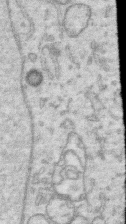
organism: Human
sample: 1205lu cells